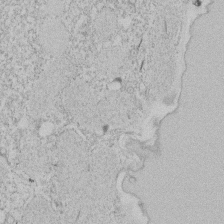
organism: Tetrahymena